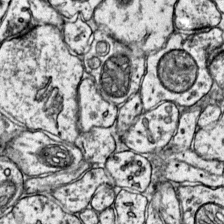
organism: Mouse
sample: Primary visual cortex